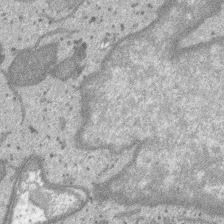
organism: Human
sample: Lung epithelial cells infected with SARS-CoV-2